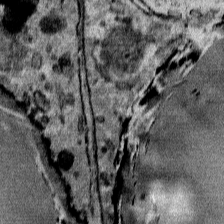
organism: Mouse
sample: Mouse Salivary gland